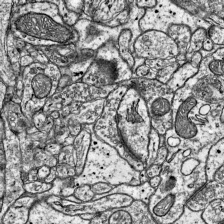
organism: Mouse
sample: Visual Cortex